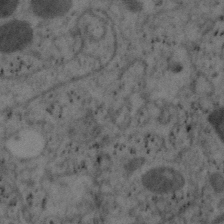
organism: Human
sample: HeLa cells